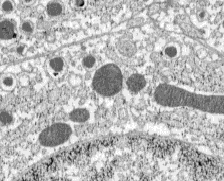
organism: C57BL Mouse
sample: Pancreatic islet